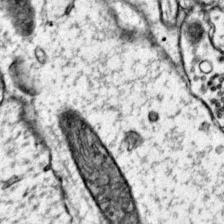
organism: Mouse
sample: Primary visual cortex